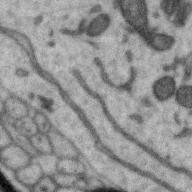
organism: Zebra finch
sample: Brain